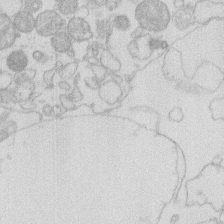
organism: Human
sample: Macrophage cells